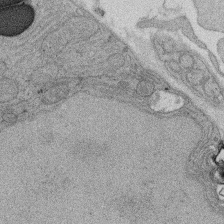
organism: Rat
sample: Salivary granule